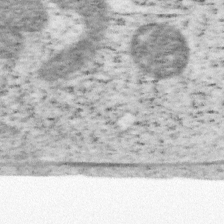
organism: Mouse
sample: OT-I killer T cells with ID8 ovarian cancer cells